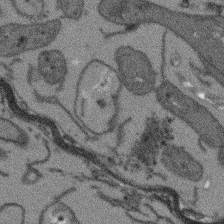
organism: Arabidopsis thaliana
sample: Root tip